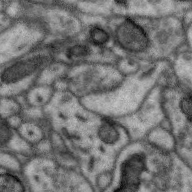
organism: Zebra finch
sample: Brain